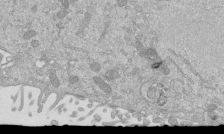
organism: Mouse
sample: ED-1 cell nuclei; centrioles